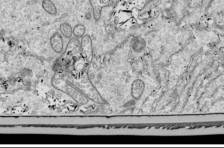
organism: Drosophila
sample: Cell division; meiosis; drosophila spermatocytes